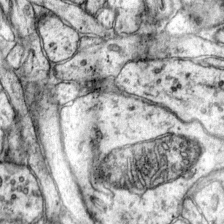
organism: Mouse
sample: Primary visual cortex